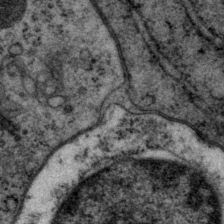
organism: P. pacificus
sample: Pharynx